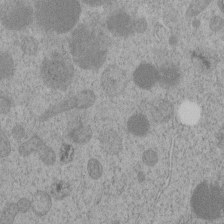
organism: C. elegans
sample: C. elegans embryo early stage